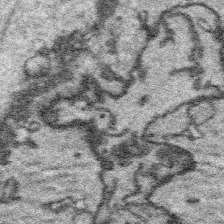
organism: Platynereis dumerilii